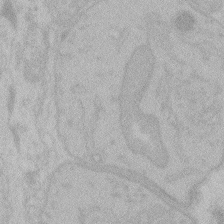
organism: Zebrafish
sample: Macrophage infected with Toxoplasma gondii